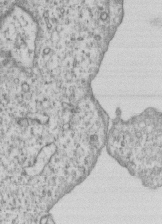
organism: Human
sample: MDA-MB-231 cells